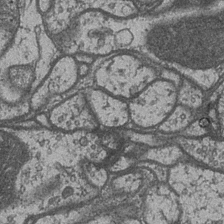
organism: Drosophila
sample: Optic medulla